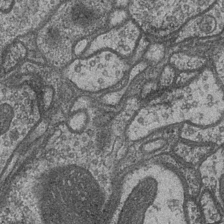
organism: Drosophila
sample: Optic medulla